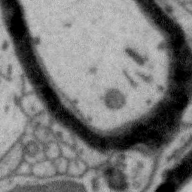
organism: Zebra finch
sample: Brain